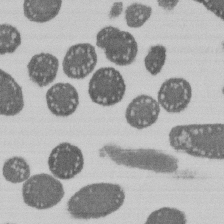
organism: E. coli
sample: Bacterial nucleoid